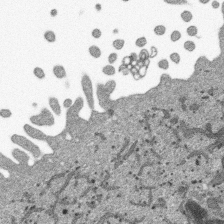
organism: Human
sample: Lung epithelial cells infected with SARS-CoV-2